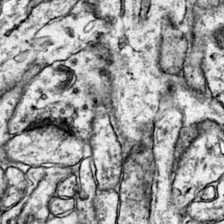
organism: Mouse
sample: Primary visual cortex